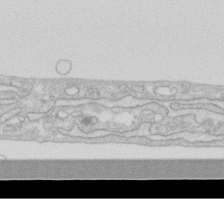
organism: Human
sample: Fibroblast cells